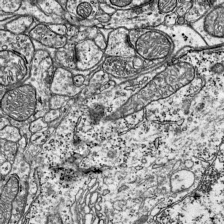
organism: Mouse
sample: Visual Cortex